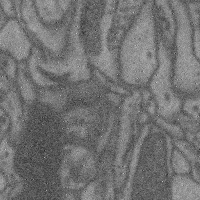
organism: Mouse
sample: Cerebral cortex